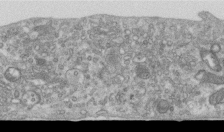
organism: Human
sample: Centriole in RPE cells